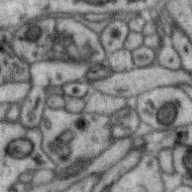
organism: Zebra finch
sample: Brain